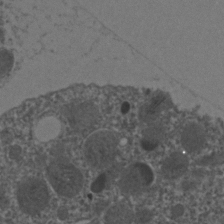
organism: C. elegans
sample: C. elegans embryo